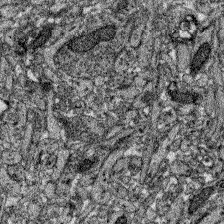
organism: Zebrafish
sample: Larval olfactory bulb